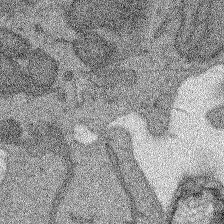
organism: Human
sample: HeLa cells